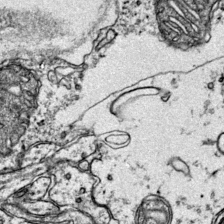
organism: Mouse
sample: Primary visual cortex